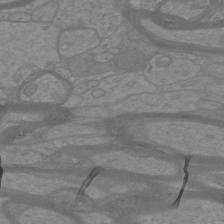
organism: Mouse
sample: Cortical neurons